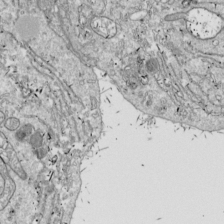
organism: Drosophila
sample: Cell division; meiosis; drosophila spermatocytes